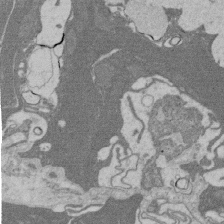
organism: Rat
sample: Salivary granule